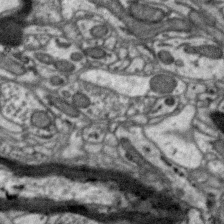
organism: Zebra finch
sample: Brain